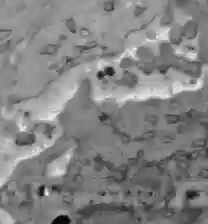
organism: C57BL Mouse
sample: Liver